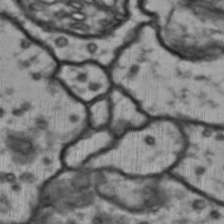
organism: Drosophila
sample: Brain